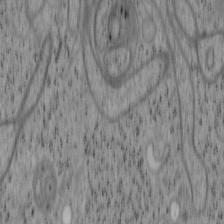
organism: Human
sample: HeLa cells